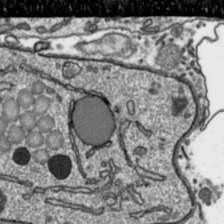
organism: Toxoplasma gondii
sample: Parasites in a vacuole inside a host cell